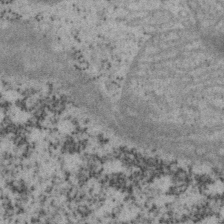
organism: Human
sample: HeLa cells